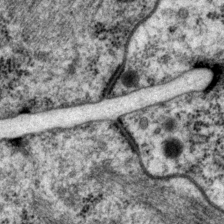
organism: P. pacificus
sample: Pharynx